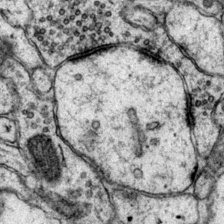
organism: Mouse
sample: Primary visual cortex